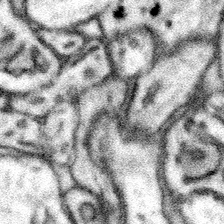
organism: Mouse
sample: Somatosensory cortex neuropil